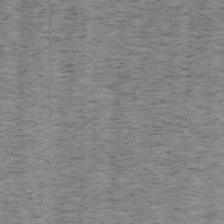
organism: Mouse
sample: OT-I killer T cells with ID8 ovarian cancer cells